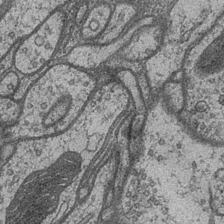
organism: Drosophila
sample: Optic medulla